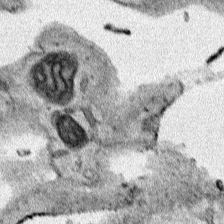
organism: Human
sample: Mitochondria in HCT116 cells